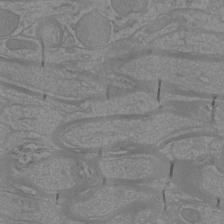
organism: Mouse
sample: Cortical neurons